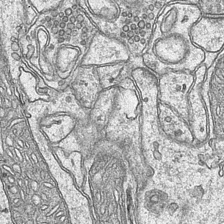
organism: Mouse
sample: CA1 Hippocampus